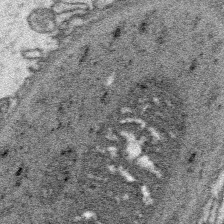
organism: Platynereis dumerilii